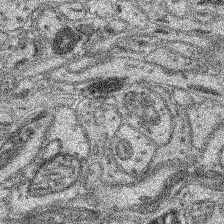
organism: Mouse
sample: Retina